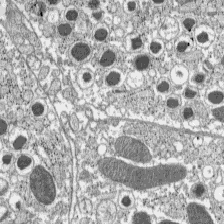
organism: C57BL Mouse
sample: Pancreatic islet